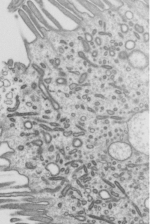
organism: Mouse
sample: Mouse epididymis efferent ductule cilia